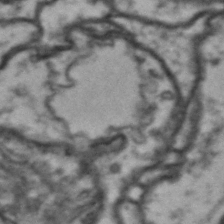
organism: Drosophila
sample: Brain